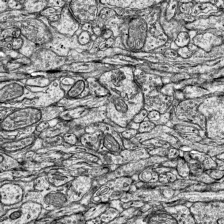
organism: Mouse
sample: Visual Cortex